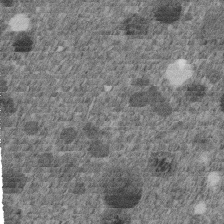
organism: C. elegans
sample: C. elegans embryo early stage